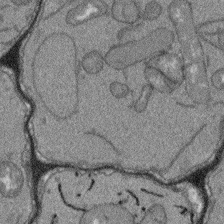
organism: Arabidopsis thaliana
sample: Root tip